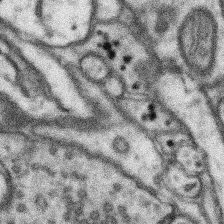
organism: Mouse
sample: Somatosensory cortex neuropil